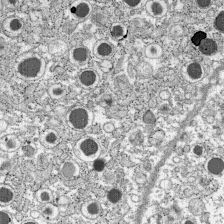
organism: C57BL Mouse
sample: Pancreatic islet